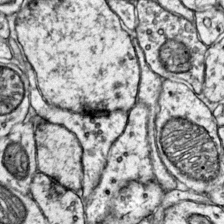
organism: Mouse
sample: Primary visual cortex